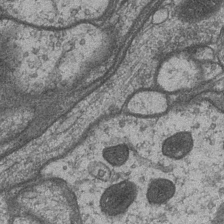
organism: Drosophila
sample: Optic medulla